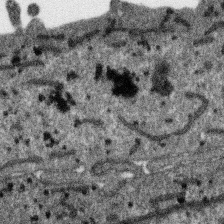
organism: Human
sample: Lung epithelial cells infected with SARS-CoV-2